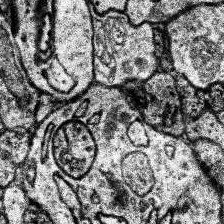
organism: Human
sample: Temporal Lobe